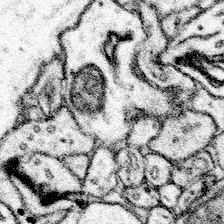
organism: Mouse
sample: Somatosensory cortex neuropil